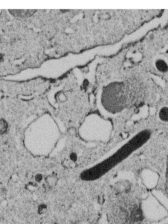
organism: C. elegans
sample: C. elegans embryo early stage